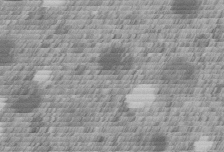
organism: C. elegans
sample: C. elegans embryo early stage